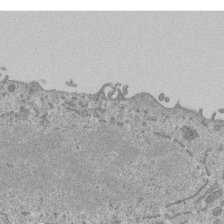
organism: Mouse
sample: ED-1 cell nuclei; centrioles